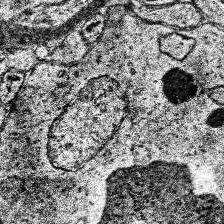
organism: Human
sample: Temporal Lobe